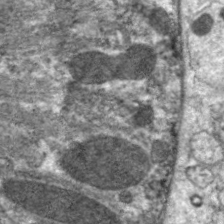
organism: C. elegans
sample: Pharynx